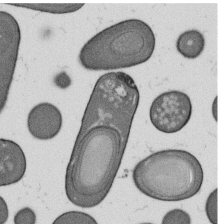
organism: B. subtilis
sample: Bacterial spore